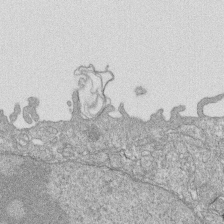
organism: Human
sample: HeLa cell HIV synapse